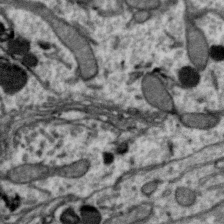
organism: Zebra finch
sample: Brain